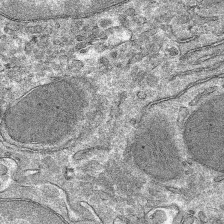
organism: Mouse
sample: Mouse hepatocytes